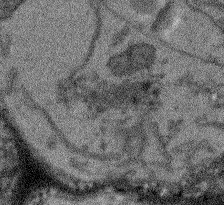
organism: Arabidopsis thaliana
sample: Root tip